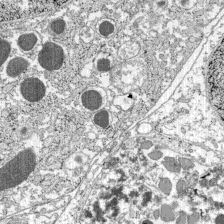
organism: C57BL Mouse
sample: Pancreatic islet